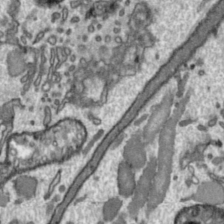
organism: Toxoplasma gondii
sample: Parasites in a vacuole inside a host cell